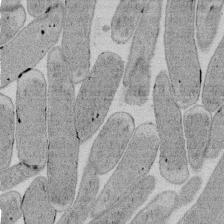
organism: E. coli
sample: Bacterial nucleoid